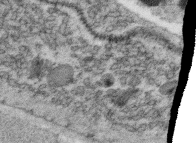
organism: C. elegans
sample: C. elegans oocyte; sperm cells